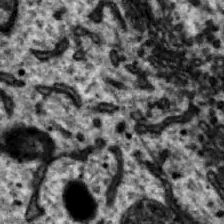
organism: Human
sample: HeLa cells